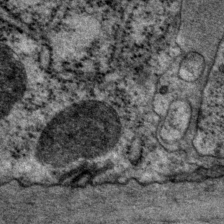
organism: P. pacificus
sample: Pharynx